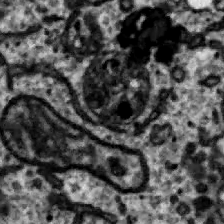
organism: Human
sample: HeLa cells